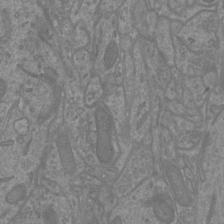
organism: Mouse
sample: Cortical neurons